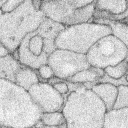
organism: Rabbit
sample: Retina